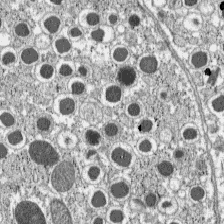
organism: C57BL Mouse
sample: Pancreatic islet